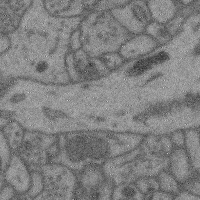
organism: Mouse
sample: Cerebral cortex